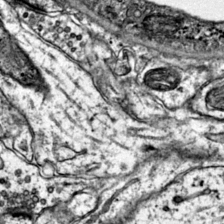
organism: Mouse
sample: Primary visual cortex